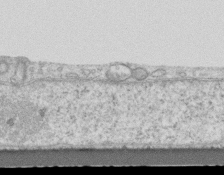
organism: Mouse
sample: Centriole in ependymal cells